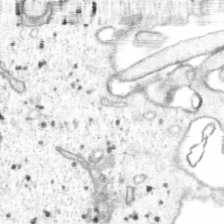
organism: Human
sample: HeLa cells